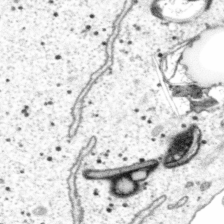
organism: Human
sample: HeLa cells